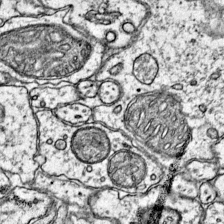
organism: Mouse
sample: Primary visual cortex